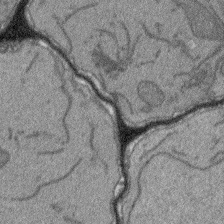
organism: Arabidopsis thaliana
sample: Root tip